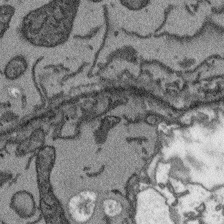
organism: Arabidopsis thaliana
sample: Root tip